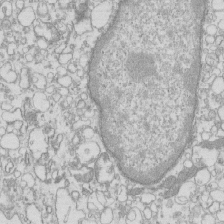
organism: Mouse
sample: Macrophages